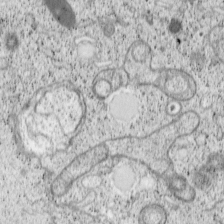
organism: African green monkey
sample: COS-7 cells